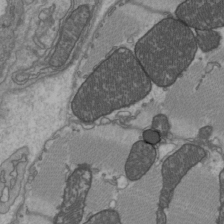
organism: C57BL Mouse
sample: Heart